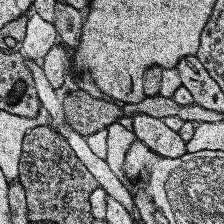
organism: Human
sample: Temporal Lobe